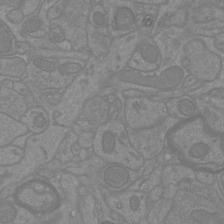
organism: Mouse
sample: Cortical neurons